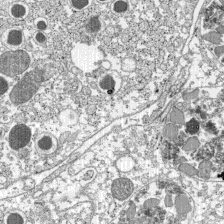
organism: C57BL Mouse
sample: Pancreatic islet